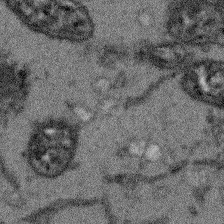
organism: Arabidopsis thaliana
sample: Root tip